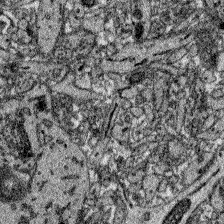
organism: Zebrafish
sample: Larval olfactory bulb